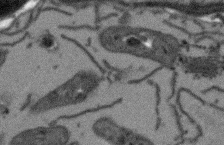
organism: Arabidopsis thaliana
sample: Root tip